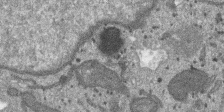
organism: Human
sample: Lung epithelial cells infected with SARS-CoV-2